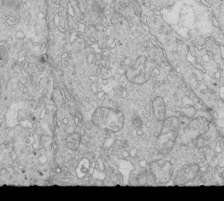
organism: Mouse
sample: Multiciliated cells